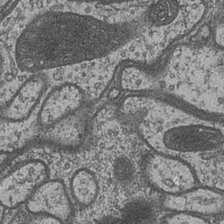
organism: Drosophila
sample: Optic medulla